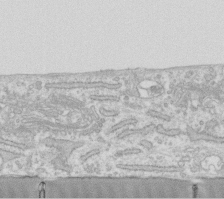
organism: Human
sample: Fibroblast cells